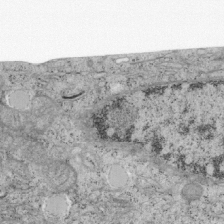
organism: Human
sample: HeLa cells